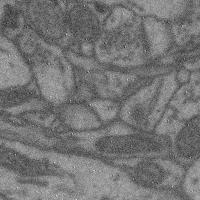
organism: Mouse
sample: Cerebral cortex